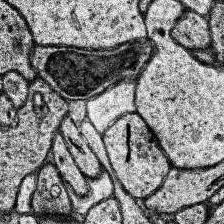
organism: Human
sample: Temporal Lobe